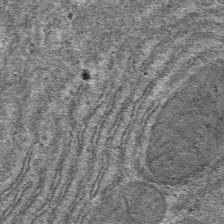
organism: Mouse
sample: Mouse hepatocytes